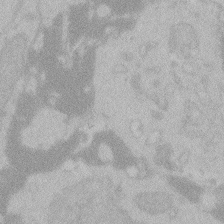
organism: Zebrafish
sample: Macrophage infected with Toxoplasma gondii